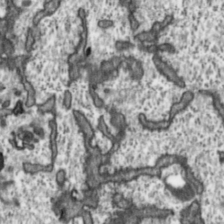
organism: Toxoplasma gondii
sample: Parasites in a vacuole inside a host cell